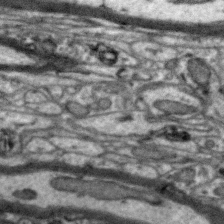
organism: Zebra finch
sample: Brain